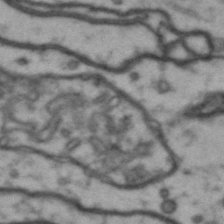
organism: Drosophila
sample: Brain